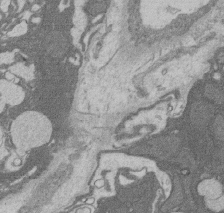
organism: Rat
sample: Salivary granule